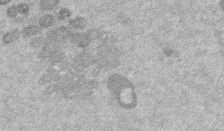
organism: Mouse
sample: Dividing mouse embryo 1 cell stage